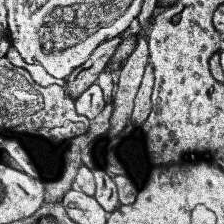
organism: Human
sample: Temporal Lobe